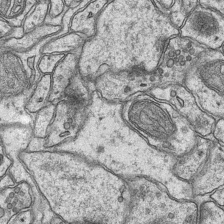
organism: Mouse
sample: CA1 Hippocampus